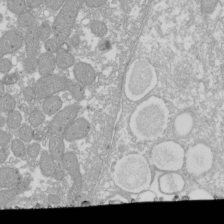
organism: Xenopus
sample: Cilia; centrioles in frog embryo cells